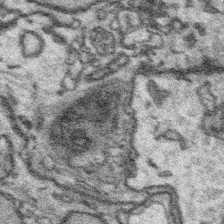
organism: Platynereis dumerilii